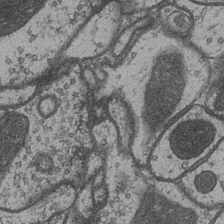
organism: Drosophila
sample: Optic medulla